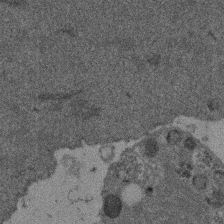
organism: Mouse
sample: Dividing mouse embryo 1 cell stage